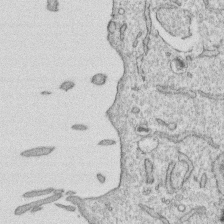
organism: Human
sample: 1205lu cells